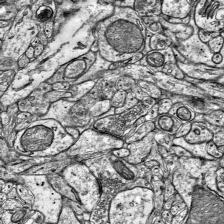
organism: Mouse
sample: Visual Cortex